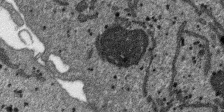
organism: Human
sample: Lung epithelial cells infected with SARS-CoV-2